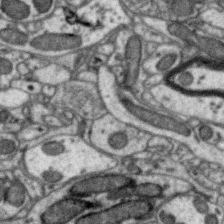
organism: Zebra finch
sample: Brain